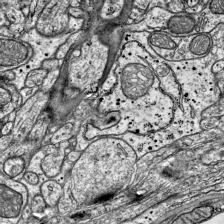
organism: Mouse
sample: Visual Cortex